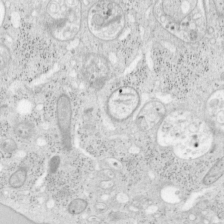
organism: Mouse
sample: OT-I killer T cells with ID8 ovarian cancer cells